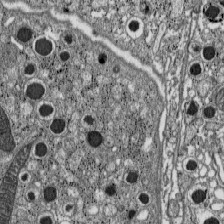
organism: C57BL Mouse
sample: Pancreatic islet